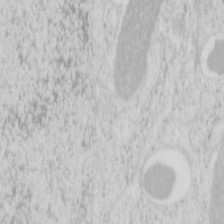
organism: Mouse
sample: Pancreas